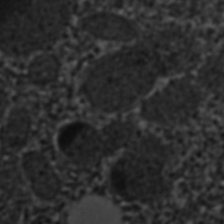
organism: C. elegans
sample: C. elegans embryo